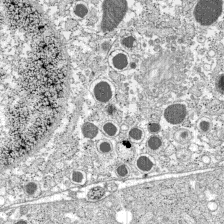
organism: C57BL Mouse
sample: Pancreatic islet